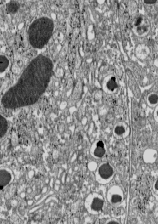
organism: C57BL Mouse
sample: Pancreatic islet